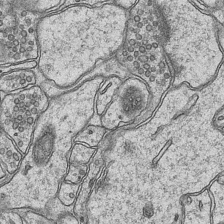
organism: Mouse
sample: CA1 Hippocampus